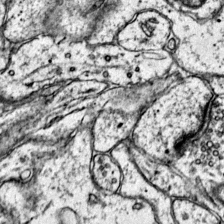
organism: Mouse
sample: Primary visual cortex